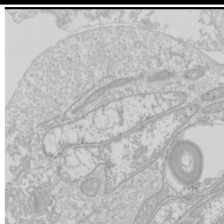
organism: Drosophila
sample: Cell division; meiosis; drosophila spermatocytes